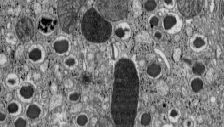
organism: C57BL Mouse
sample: Pancreatic islet